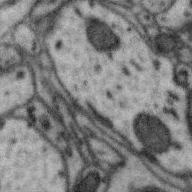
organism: Zebra finch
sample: Brain